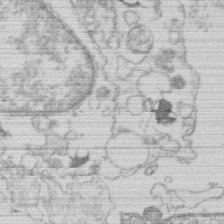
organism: Human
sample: Macrophage cells